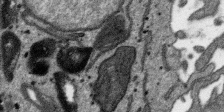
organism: Human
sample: Lung epithelial cells, uninfected (mock) control